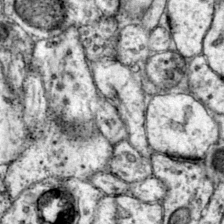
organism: Mouse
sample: Primary visual cortex